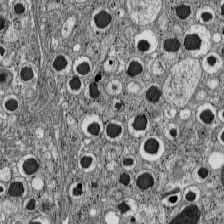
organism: C57BL Mouse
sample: Pancreatic islet